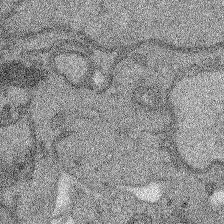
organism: Human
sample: HeLa cells